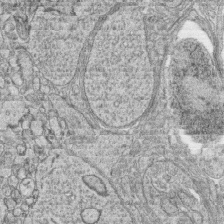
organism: Zebrafish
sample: synaptic ribbons in rod cells and cone cells